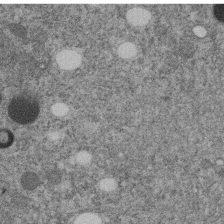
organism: C. elegans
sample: C. elegans embryo early stage